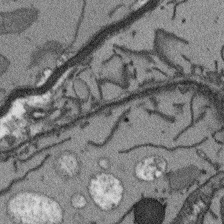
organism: Arabidopsis thaliana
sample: Root tip